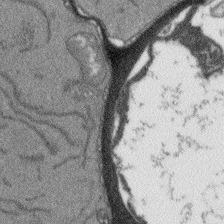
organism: Arabidopsis thaliana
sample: Root tip